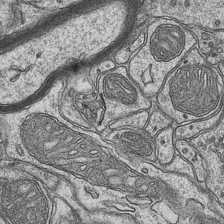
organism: Mouse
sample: CA1 Hippocampus